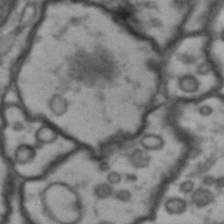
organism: Drosophila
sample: Brain